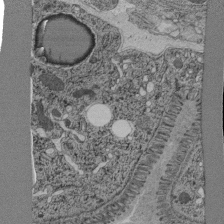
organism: C. elegans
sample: C. elegans pharynx